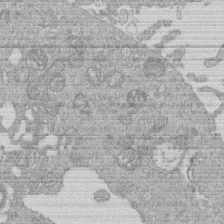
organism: Human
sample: Macrophage cells